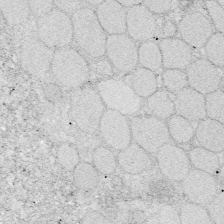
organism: Zebrafish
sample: Whole-Brain